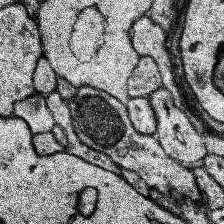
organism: Human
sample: Temporal Lobe